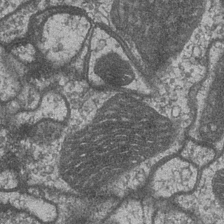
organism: Drosophila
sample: Optic medulla